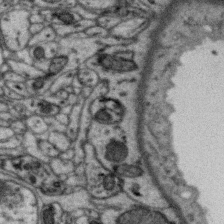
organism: Zebra finch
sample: Brain